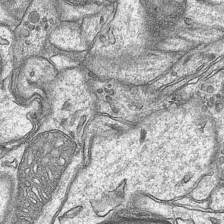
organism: Mouse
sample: CA1 Hippocampus